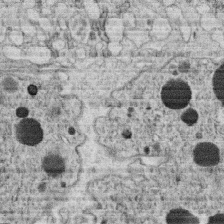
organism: C. elegans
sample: C. elegans oocyte; sperm cells